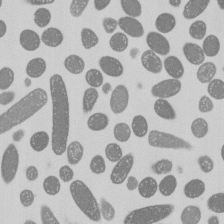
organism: E. coli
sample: Bacterial nucleoid